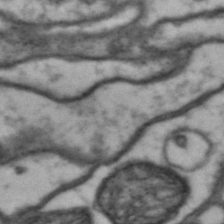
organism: Drosophila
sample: Brain